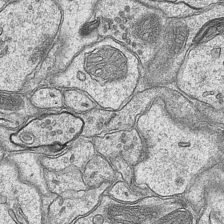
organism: Mouse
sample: CA1 Hippocampus